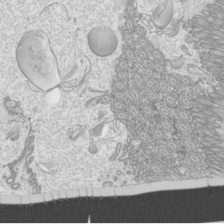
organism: Mouse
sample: Cilia; mouse epididymis